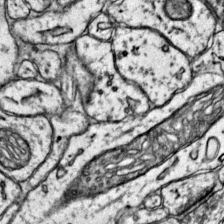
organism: Mouse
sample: Primary visual cortex